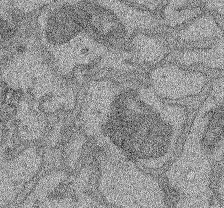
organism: Human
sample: HeLa cells